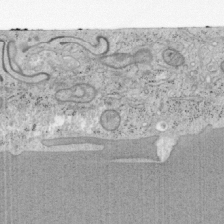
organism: Human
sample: HeLa cells